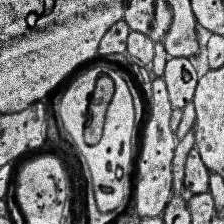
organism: Human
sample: Temporal Lobe